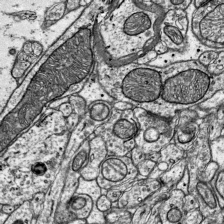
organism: Mouse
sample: Visual Cortex